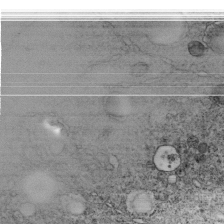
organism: C. elegans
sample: C. elegans embryo early stage